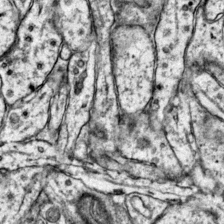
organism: Mouse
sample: Primary visual cortex